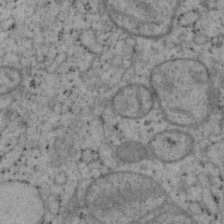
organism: Human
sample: HeLa cells